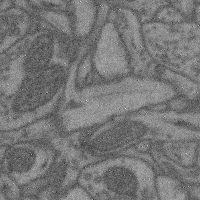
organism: Mouse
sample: Cerebral cortex